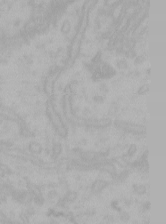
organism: Mouse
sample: Choroid plexus